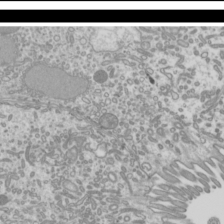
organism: Mouse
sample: Cilia; mouse epididymis